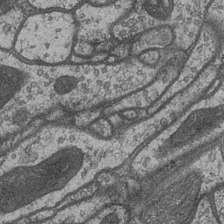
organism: Drosophila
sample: Optic medulla